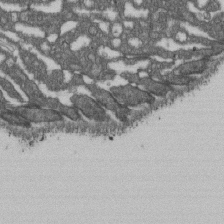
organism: Drosophila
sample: Nephrocyte